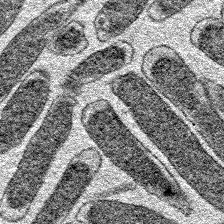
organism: E. coli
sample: E. Coli Bacteria